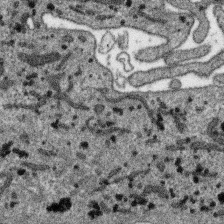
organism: Human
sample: Lung epithelial cells infected with SARS-CoV-2